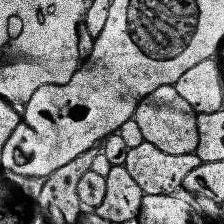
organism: Human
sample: Temporal Lobe